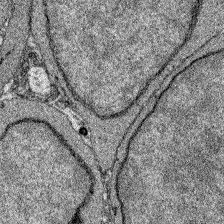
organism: Zebrafish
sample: Larval olfactory bulb